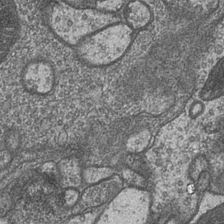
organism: Drosophila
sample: Optic medulla